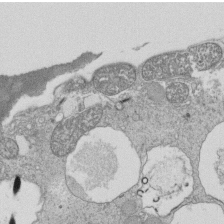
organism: Tetrahymena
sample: Cilia in tetrahymena